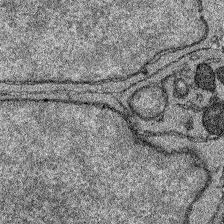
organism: Zebrafish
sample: Larval olfactory bulb